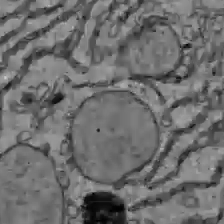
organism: C57BL Mouse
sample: Liver